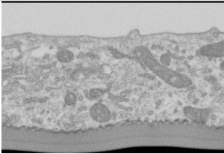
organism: Human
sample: Cilia; basal body in RPE cells